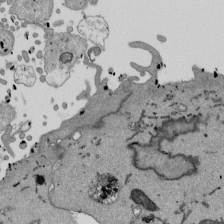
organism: Mouse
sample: ED-1 cell nuclei; centrioles